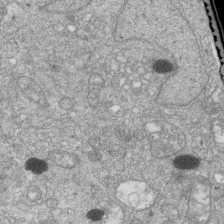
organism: Human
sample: HeLa cell HIV synapse